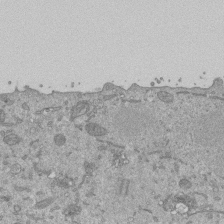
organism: Mouse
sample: ED-1 cell nuclei; centrioles